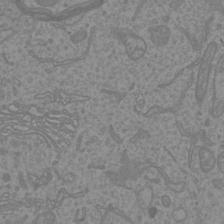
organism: Mouse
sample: Cortical neurons